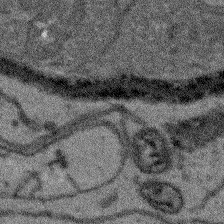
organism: Arabidopsis thaliana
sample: Root tip